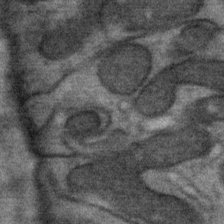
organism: Mouse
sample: Mouse Salivary gland